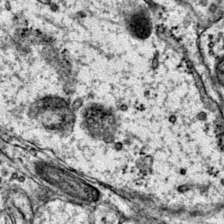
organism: Mouse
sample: Primary visual cortex